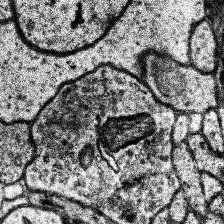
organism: Human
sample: Temporal Lobe